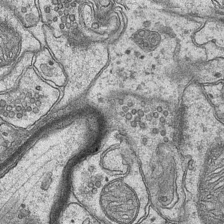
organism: Mouse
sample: CA1 Hippocampus